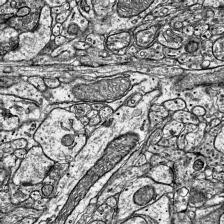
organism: Mouse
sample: Visual Cortex